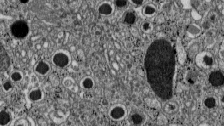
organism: C57BL Mouse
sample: Pancreatic islet